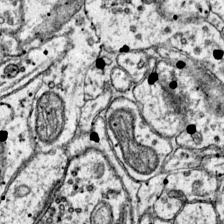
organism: Mouse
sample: Primary visual cortex